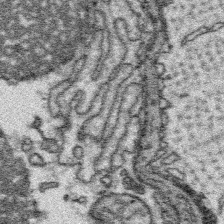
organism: Platynereis dumerilii